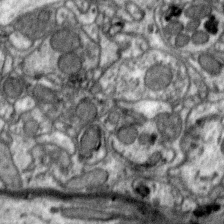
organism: Zebra finch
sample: Brain